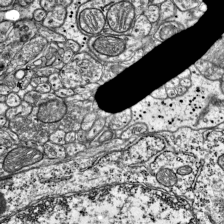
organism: Mouse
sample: Visual Cortex